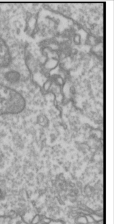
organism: Drosophila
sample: Cell division; meiosis; drosophila spermatocytes